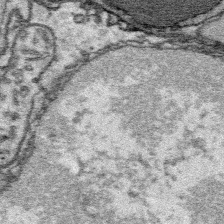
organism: Platynereis dumerilii